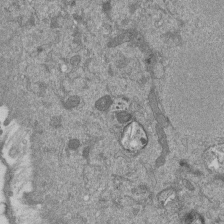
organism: Mouse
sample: ED-1 cell nuclei; centrioles